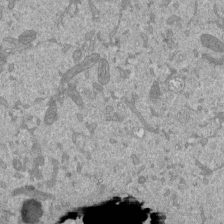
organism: Mouse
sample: ED-1 cell nuclei; centrioles